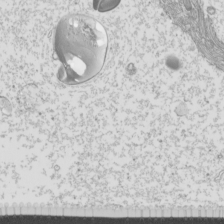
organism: Mouse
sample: Cilia; mouse epididymis